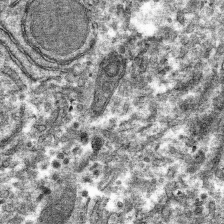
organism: Mouse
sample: Mouse hepatocytes